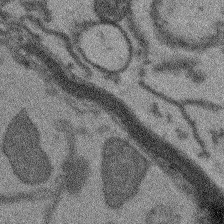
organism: Arabidopsis thaliana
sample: Root tip